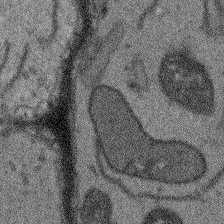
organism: Arabidopsis thaliana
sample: Root tip